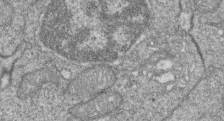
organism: Zebrafish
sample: Cilia; retinal pigment epithelium